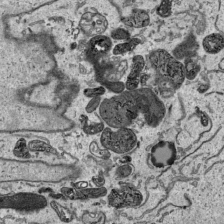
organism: Human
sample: Mitochondria in HCT116 cells